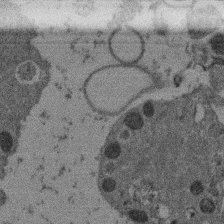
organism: Mouse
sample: Dividing mouse embryo 1 cell stage